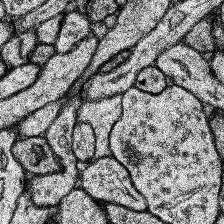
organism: Human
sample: Temporal Lobe